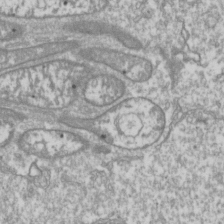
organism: Drosophila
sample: Cell division; meiosis; drosophila spermatocytes